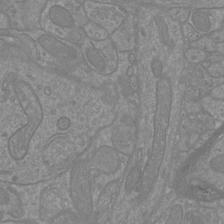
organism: Mouse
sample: Cortical neurons